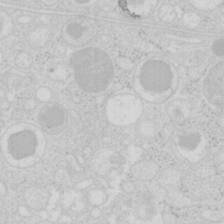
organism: Mouse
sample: Pancreas